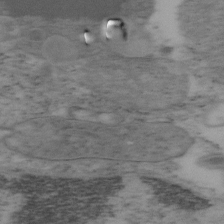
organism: Mouse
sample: OT-I killer T cells with ID8 ovarian cancer cells